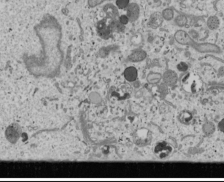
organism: Human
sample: Mitochondria in U2OS cells